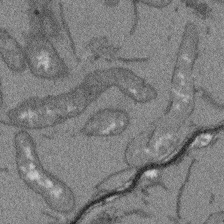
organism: Arabidopsis thaliana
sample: Root tip